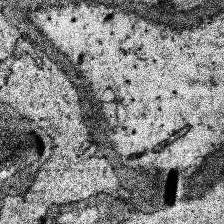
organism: Human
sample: Temporal Lobe